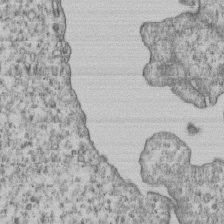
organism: Human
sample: MDA-MB-231 cells